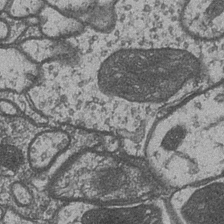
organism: Drosophila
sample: Optic medulla